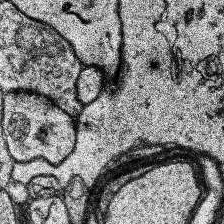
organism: Human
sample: Temporal Lobe